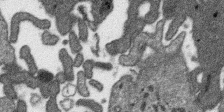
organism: Human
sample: Lung epithelial cells infected with SARS-CoV-2